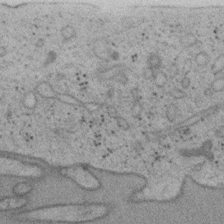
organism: Human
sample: HeLa cells